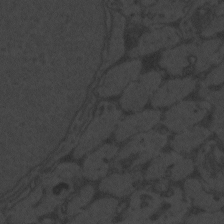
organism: Zebrafish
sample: Macrophage infected with Toxoplasma gondii